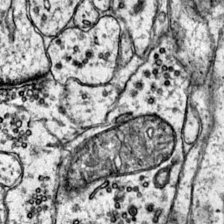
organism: Mouse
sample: Primary visual cortex